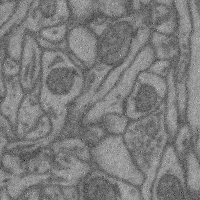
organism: Mouse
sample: Cerebral cortex